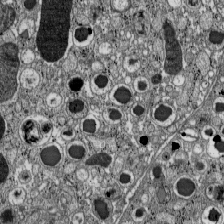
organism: C57BL Mouse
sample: Pancreatic islet